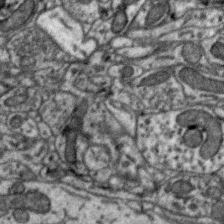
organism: Zebra finch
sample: Brain